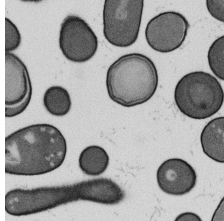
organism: B. subtilis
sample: Bacterial spore